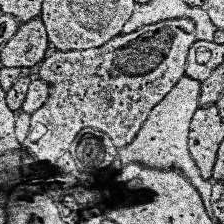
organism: Human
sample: Temporal Lobe